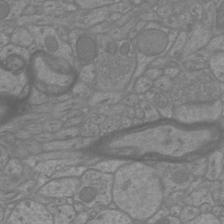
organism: Mouse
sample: Cortical neurons